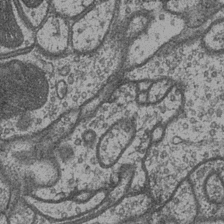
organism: Drosophila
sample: Optic medulla